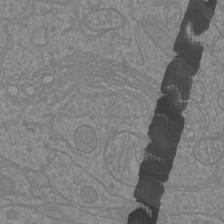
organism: Mouse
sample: Cortical neurons